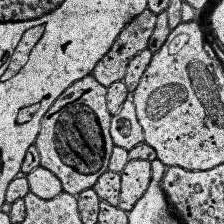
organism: Human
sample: Temporal Lobe